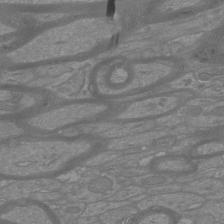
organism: Mouse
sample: Cortical neurons